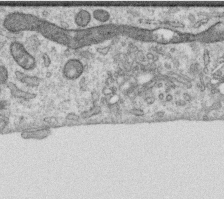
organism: Human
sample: Centriole in RPE cells